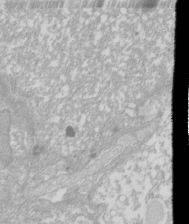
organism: Xenopus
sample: Cilia; centrioles in frog embryo cells